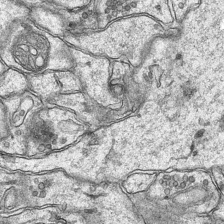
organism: Mouse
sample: CA1 Hippocampus